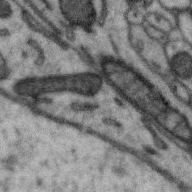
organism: Zebra finch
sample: Brain